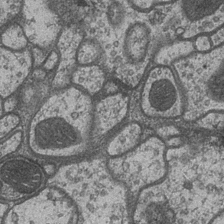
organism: Drosophila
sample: Optic medulla